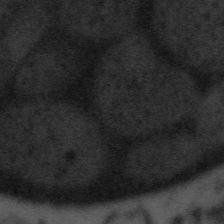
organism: Tuwongella immobilis